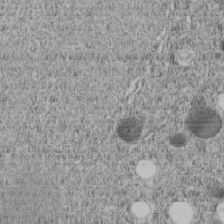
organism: C. elegans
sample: C. elegans embryo early stage